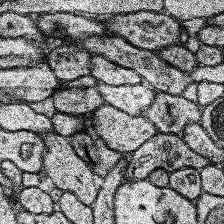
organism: Human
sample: Temporal Lobe